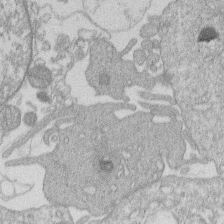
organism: Human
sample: Macrophage cells